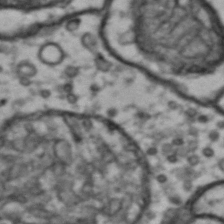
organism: Drosophila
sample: Brain